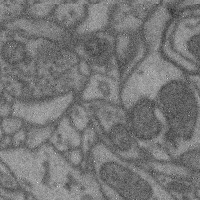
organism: Mouse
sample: Cerebral cortex